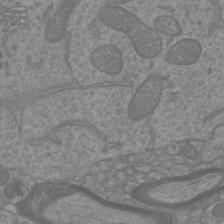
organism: Mouse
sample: Cortical neurons